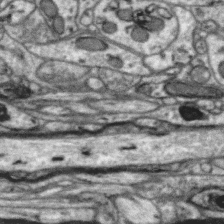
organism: Zebra finch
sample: Brain